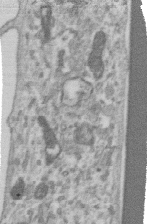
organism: Human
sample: Centriole in RPE cells